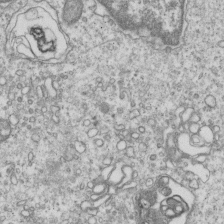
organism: Human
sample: MDA-MB-231 cells